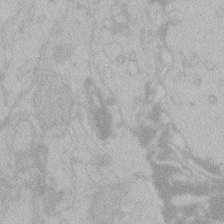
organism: Zebrafish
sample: Macrophage infected with Toxoplasma gondii